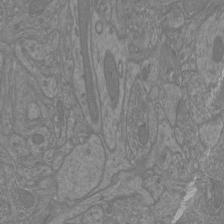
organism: Mouse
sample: Cortical neurons